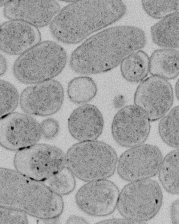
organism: E. coli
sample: Bacterial nucleoid